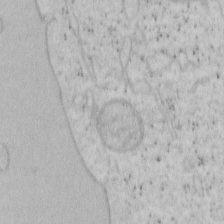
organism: Human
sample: HeLa cells